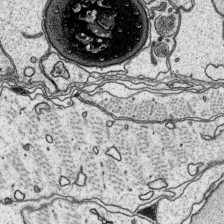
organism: Platynereis dumerilii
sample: Parapodia